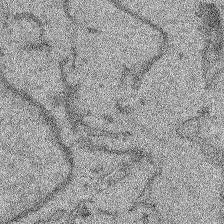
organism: Human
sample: HeLa cells